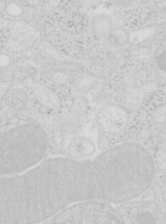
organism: Mouse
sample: Pancreas